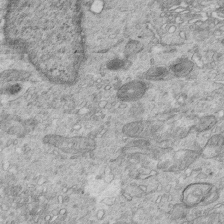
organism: Mouse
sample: Multiciliated cells